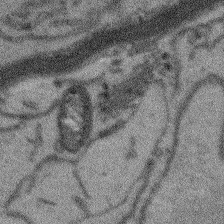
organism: Arabidopsis thaliana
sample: Root tip